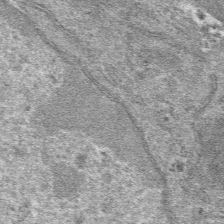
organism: Mouse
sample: Mouse hepatocytes